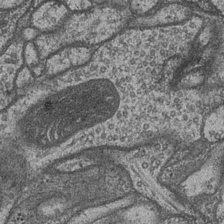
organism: Drosophila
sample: Optic medulla